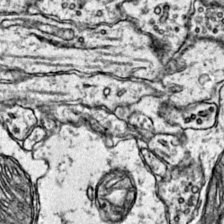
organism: Mouse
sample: Primary visual cortex